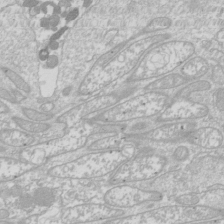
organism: Drosophila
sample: Cell division; meiosis; drosophila spermatocytes